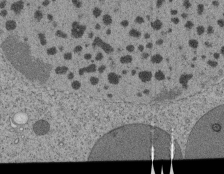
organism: Tetrahymena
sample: Cilia in tetrahymena